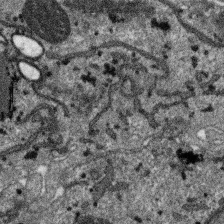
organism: Human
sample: Lung epithelial cells infected with SARS-CoV-2